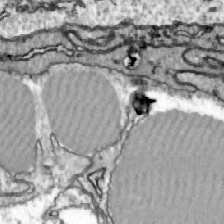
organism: Zebrafish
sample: Actinotrichia fibers